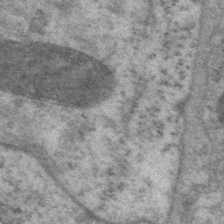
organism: P. pacificus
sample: Pharynx